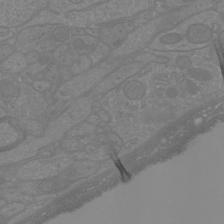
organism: Mouse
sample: Cortical neurons